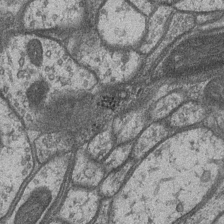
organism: Drosophila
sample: Optic medulla